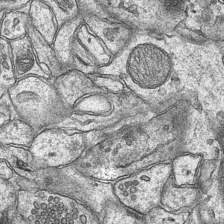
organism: Mouse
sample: CA1 Hippocampus